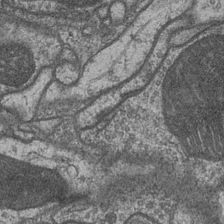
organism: Drosophila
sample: Optic medulla